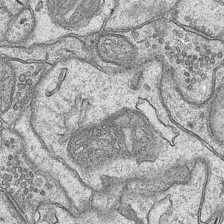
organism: Mouse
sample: CA1 Hippocampus